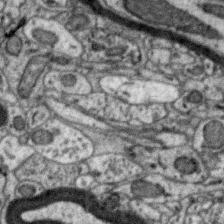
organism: Zebra finch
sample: Brain